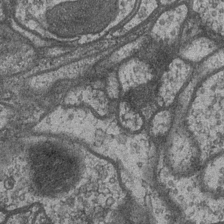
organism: Drosophila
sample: Optic medulla